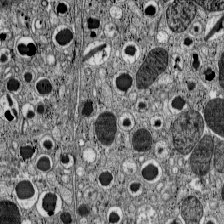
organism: C57BL Mouse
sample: Pancreatic islet